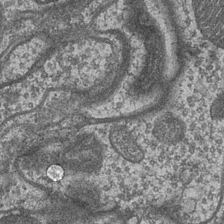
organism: Drosophila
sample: Optic medulla